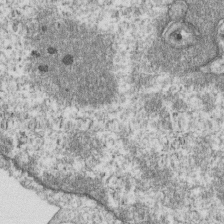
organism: Mouse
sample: Activated OT-1 CD8+ T cells